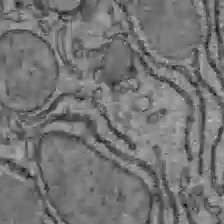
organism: C57BL Mouse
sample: Liver